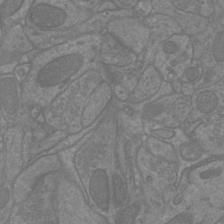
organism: Mouse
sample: Cortical neurons